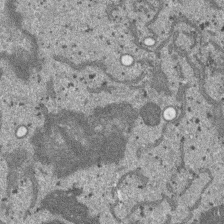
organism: Human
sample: Lung epithelial cells infected with SARS-CoV-2